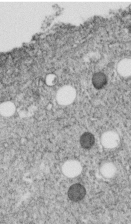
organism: C. elegans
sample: C. elegans embryo early stage